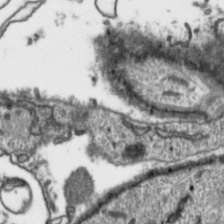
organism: Toxoplasma gondii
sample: Parasites in a vacuole inside a host cell